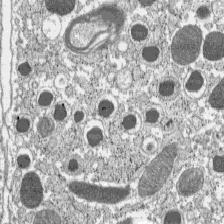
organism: C57BL Mouse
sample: Pancreatic islet